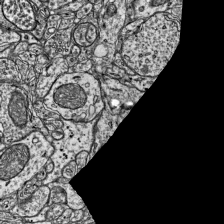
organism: Mouse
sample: Visual Cortex